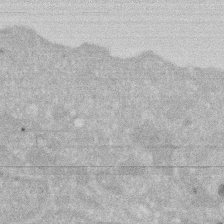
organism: Human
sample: HIV infected U937 cells